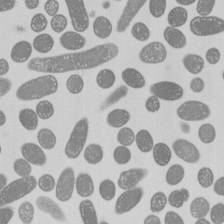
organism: E. coli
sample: Bacterial nucleoid